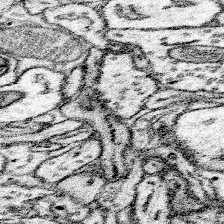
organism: Mouse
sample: Somatosensory cortex neuropil